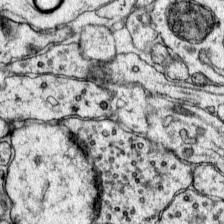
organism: Mouse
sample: Primary visual cortex